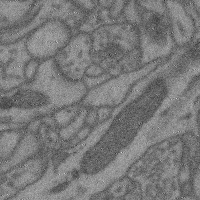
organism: Mouse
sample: Cerebral cortex